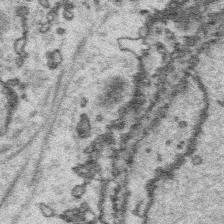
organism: Platynereis dumerilii